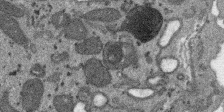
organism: Human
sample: Lung epithelial cells infected with SARS-CoV-2